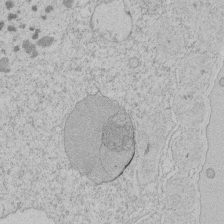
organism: Tetrahymena